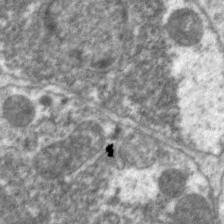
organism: C. elegans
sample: Pharynx